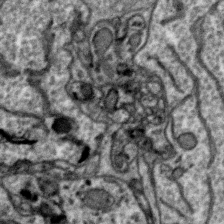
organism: Zebra finch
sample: Brain